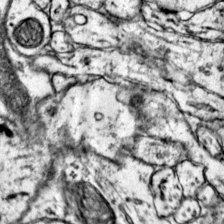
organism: Mouse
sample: Primary visual cortex